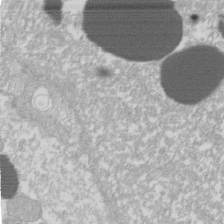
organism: Xenopus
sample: Cilia; centrioles in frog embryo cells